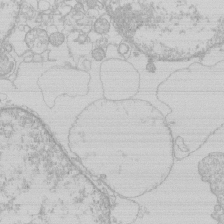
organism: Human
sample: Macrophage cells